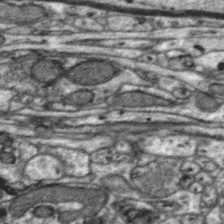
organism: Zebra finch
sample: Brain